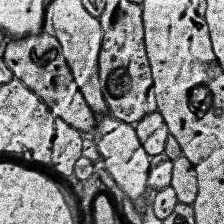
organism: Human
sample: Temporal Lobe